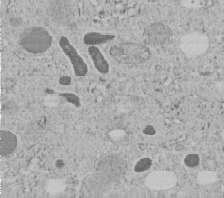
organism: C. elegans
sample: C. elegans embryo early stage